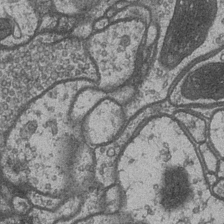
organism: Drosophila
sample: Optic medulla